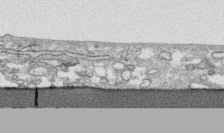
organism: Human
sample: CRL-1474